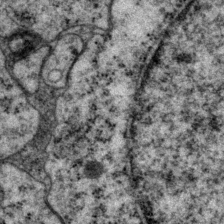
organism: P. pacificus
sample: Pharynx